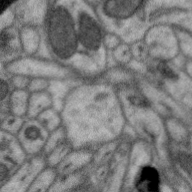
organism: Zebra finch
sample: Brain